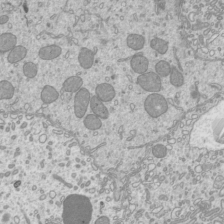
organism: Mouse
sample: Cilia; mouse epididymis